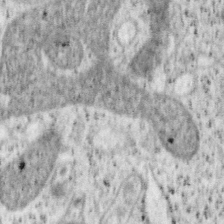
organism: Mouse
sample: OT-I killer T cells with ID8 ovarian cancer cells